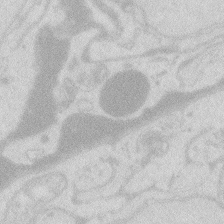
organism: Zebrafish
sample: Macrophage